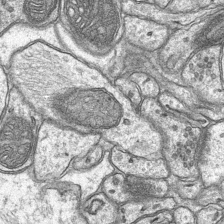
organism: Mouse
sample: CA1 Hippocampus